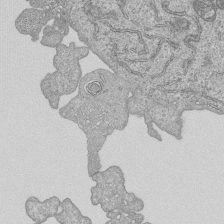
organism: Human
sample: MDA-MB-231 cells